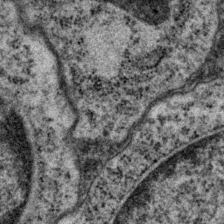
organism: P. pacificus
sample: Pharynx